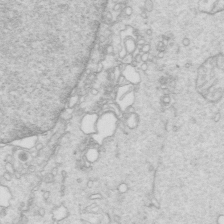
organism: Mouse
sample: Multiciliated cells